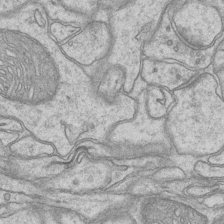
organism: Mouse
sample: CA1 Hippocampus